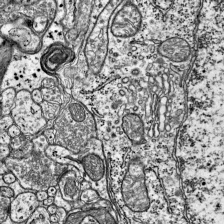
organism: Mouse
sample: Visual Cortex